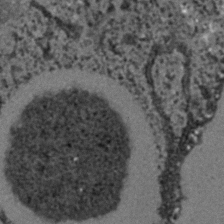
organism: C. elegans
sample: C. elegans embryo